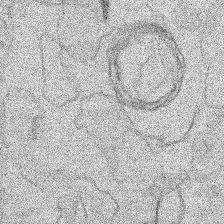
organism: Human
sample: Mitochondria in HCT116 cells